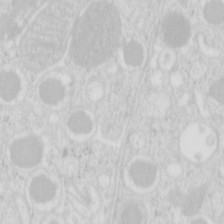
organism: Mouse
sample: Pancreas